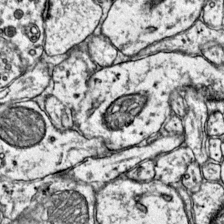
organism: Mouse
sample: Primary visual cortex